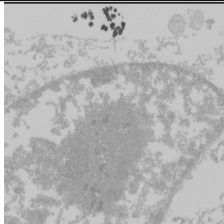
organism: Mouse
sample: Cancer cell death in ED-1 cells